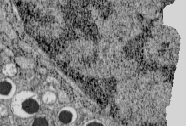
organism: C57BL Mouse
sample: Pancreatic islet